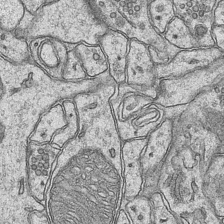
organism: Mouse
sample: CA1 Hippocampus